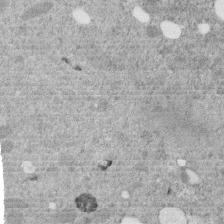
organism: C. elegans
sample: C. elegans embryo early stage